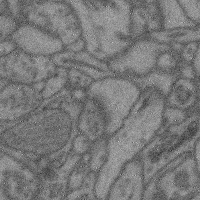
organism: Mouse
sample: Cerebral cortex